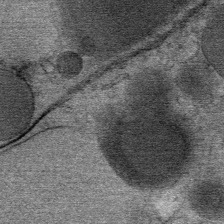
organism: Mouse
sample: Mouse Salivary gland